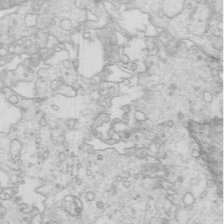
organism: Mouse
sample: Multiciliated cells